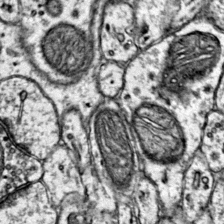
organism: Mouse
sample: Primary visual cortex